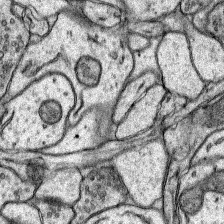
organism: Rat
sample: Hippocampus